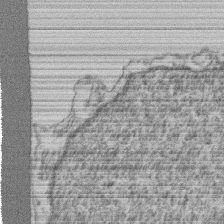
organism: Mouse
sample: T cell stromal cell synapse